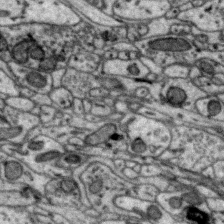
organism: Zebra finch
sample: Brain